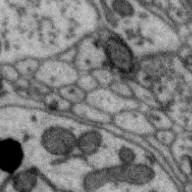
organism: Zebra finch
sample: Brain